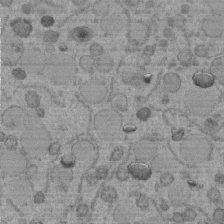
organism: C. elegans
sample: C. elegans embryo early stage